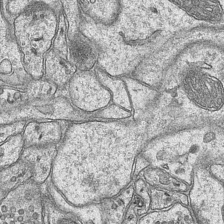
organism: Mouse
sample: CA1 Hippocampus